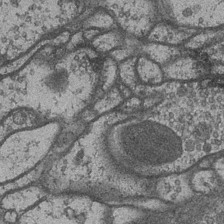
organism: Drosophila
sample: Optic medulla